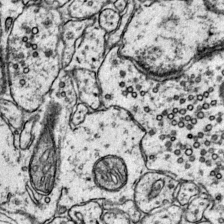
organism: Mouse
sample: Primary visual cortex